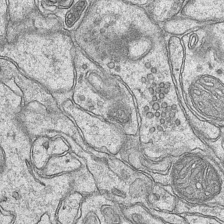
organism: Mouse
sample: CA1 Hippocampus